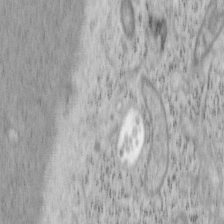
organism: Human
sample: HeLa cells